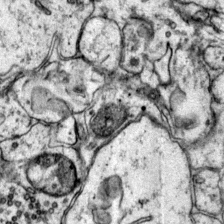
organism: Mouse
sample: Primary visual cortex